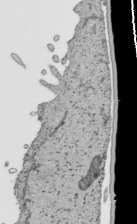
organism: Human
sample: Mitochondria in HCT116 cells